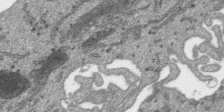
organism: Human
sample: Lung epithelial cells infected with SARS-CoV-2